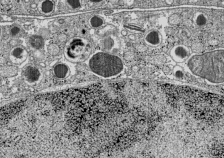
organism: C57BL Mouse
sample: Pancreatic islet